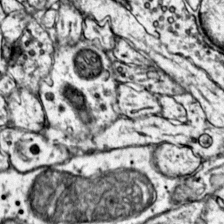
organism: Mouse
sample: Primary visual cortex